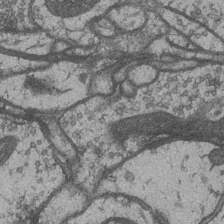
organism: Drosophila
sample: Optic medulla